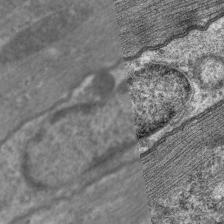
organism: C. elegans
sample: Pharynx